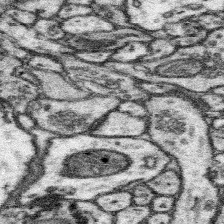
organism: Mouse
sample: Somatosensory cortex neuropil